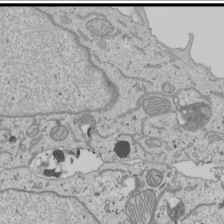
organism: Human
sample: Mitochondria in U2OS cells